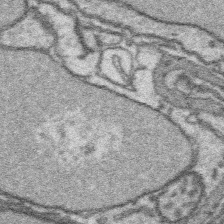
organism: Platynereis dumerilii